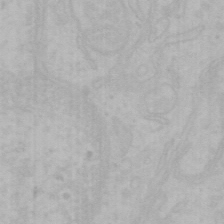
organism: Mouse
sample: Choroid plexus